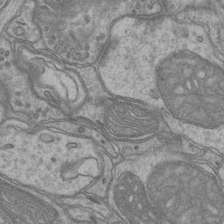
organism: Mouse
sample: CA1 Hippocampus